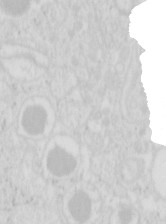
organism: Mouse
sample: Pancreas